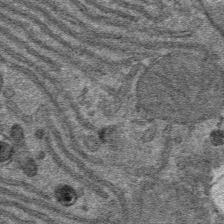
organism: Mouse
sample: Mouse hepatocytes